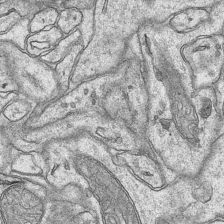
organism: Mouse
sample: CA1 Hippocampus